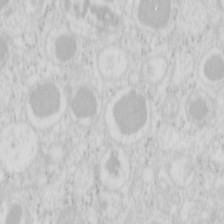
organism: Mouse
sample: Pancreas